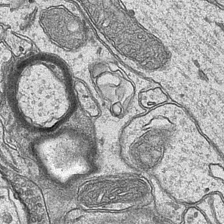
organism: Mouse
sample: CA1 Hippocampus